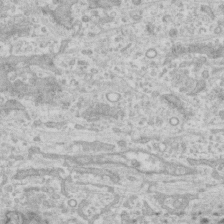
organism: Human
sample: CRL-1474